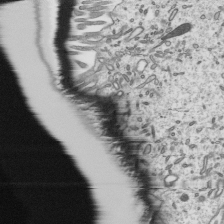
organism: Mouse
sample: Mouse epididymis efferent ductule cilia